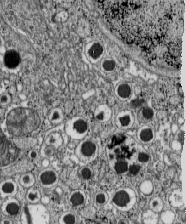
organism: C57BL Mouse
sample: Pancreatic islet